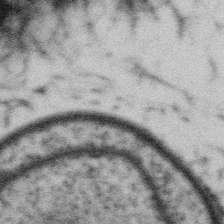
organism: Gemmata obscuriglobus